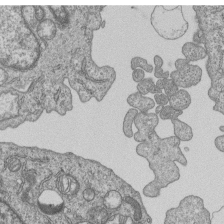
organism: Human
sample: MDA-MB-231 cells